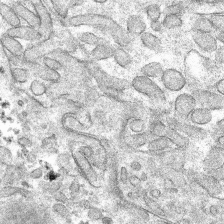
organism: Mouse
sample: Mouse hepatocytes